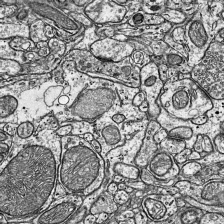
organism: Mouse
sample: Visual Cortex